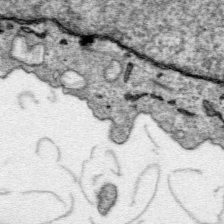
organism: Human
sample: HeLa cells